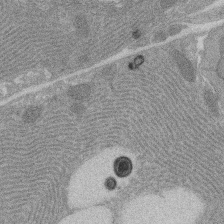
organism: Rat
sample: Salivary granule